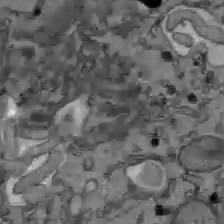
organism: C57BL Mouse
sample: Liver